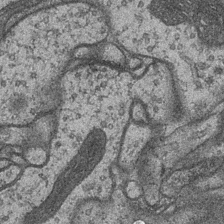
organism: Drosophila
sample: Optic medulla